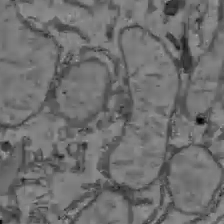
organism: C57BL Mouse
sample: Liver